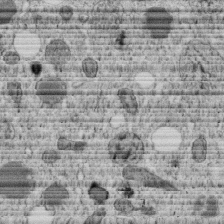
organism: C. elegans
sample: C. elegans embryo early stage